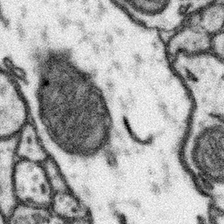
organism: Mouse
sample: Somatosensory cortex neuropil